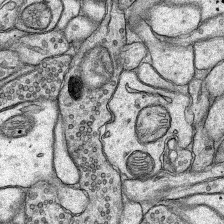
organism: Rat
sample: Hippocampus